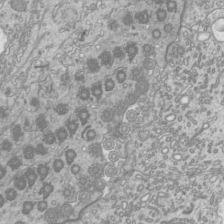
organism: Mouse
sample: Cilia; mouse epididymis